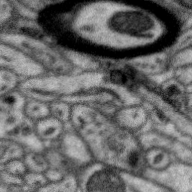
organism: Zebra finch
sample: Brain